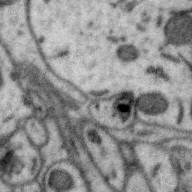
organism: Zebra finch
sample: Brain